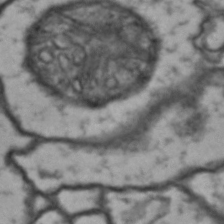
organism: Drosophila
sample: Brain